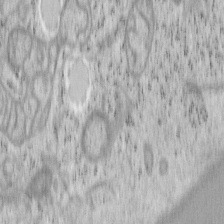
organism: Human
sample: HeLa cells